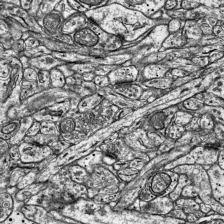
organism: Mouse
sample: Visual Cortex